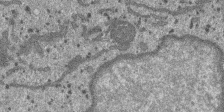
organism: Human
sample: Lung epithelial cells infected with SARS-CoV-2